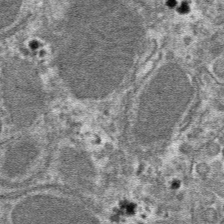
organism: Mouse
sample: Mouse hepatocytes